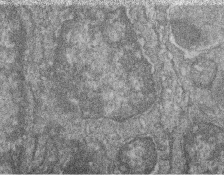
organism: Zebrafish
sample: Cilia; retinal pigment epithelium